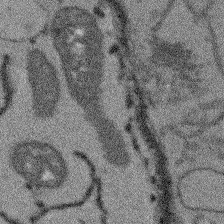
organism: Arabidopsis thaliana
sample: Root tip